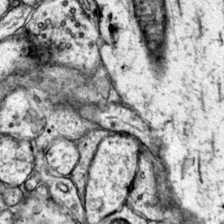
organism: Mouse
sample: Primary visual cortex